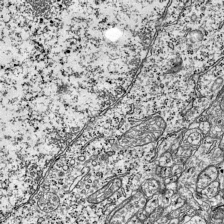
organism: Mouse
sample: Visual Cortex